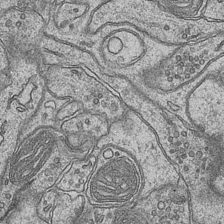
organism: Mouse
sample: CA1 Hippocampus